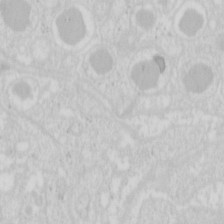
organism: Mouse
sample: Pancreas